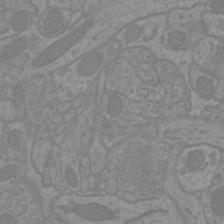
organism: Mouse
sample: Cortical neurons